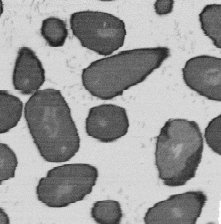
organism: B. subtilis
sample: Bacterial spore